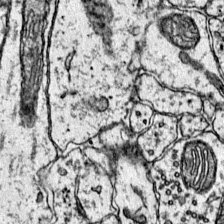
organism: Mouse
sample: Primary visual cortex